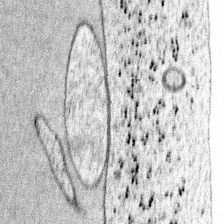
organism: Human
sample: HeLa cells